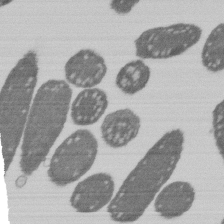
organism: E. coli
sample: Bacterial nucleoid